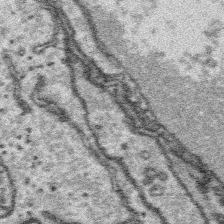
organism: Platynereis dumerilii